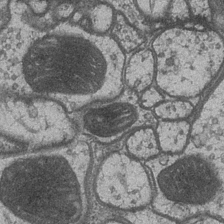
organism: Drosophila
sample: Optic medulla